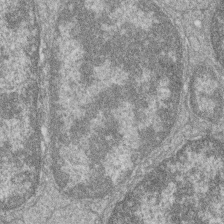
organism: Zebrafish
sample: Cilia; retinal pigment epithelium